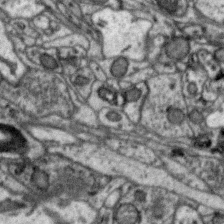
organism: Zebra finch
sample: Brain